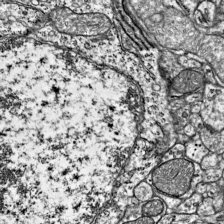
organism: Mouse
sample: Visual Cortex